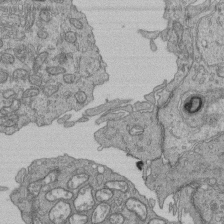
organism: Human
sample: Retinal organoid Rod and Cone cells